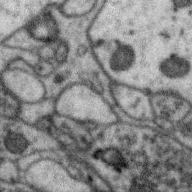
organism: Zebra finch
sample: Brain